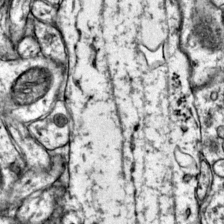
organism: Mouse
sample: Primary visual cortex